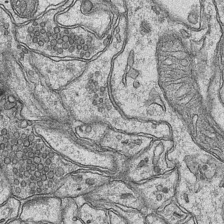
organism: Mouse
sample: CA1 Hippocampus